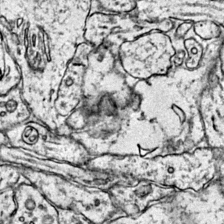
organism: Mouse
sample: Primary visual cortex